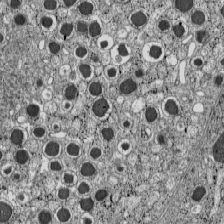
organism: C57BL Mouse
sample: Pancreatic islet